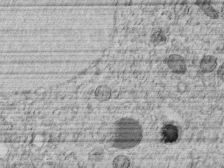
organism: C. elegans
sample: C. elegans embryo early stage